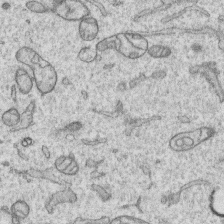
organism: Human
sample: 1205lu cells